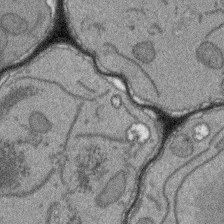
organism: Arabidopsis thaliana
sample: Root tip